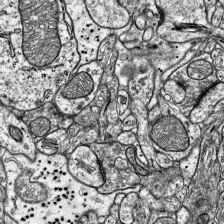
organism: Mouse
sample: Visual Cortex